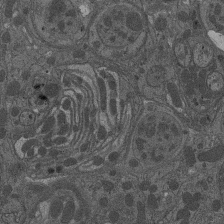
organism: Drosophila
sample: Antenna